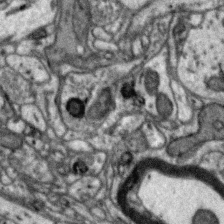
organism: Zebra finch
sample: Brain